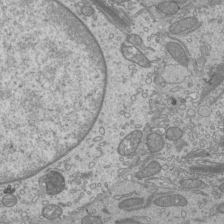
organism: Mouse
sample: Cilia; mouse epididymis